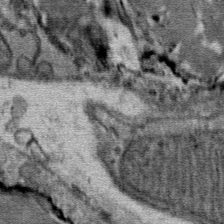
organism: Mouse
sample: Mouse Salivary gland